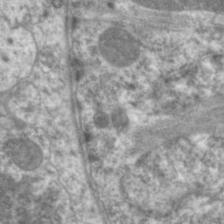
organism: C. elegans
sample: Pharynx